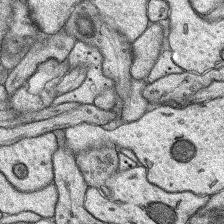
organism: Rat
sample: Hippocampus